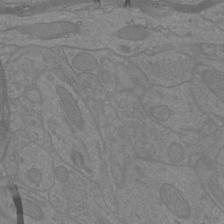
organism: Mouse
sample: Cortical neurons